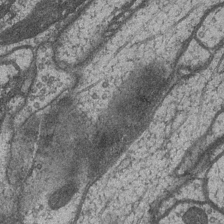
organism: Drosophila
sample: Optic medulla